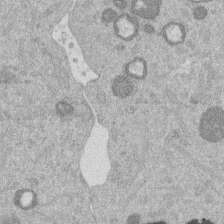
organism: Mouse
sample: Dividing mouse embryo 1 cell stage